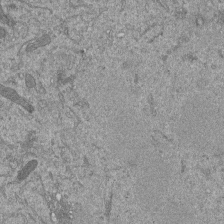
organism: Mouse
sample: ED-1 cell nuclei; centrioles